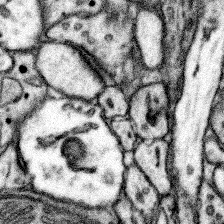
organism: Mouse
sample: Somatosensory cortex neuropil